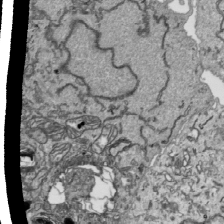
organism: Human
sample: Mitochondria in HCT116 cells